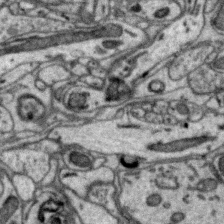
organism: Zebra finch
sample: Brain